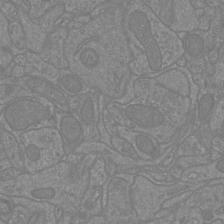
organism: Mouse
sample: Cortical neurons